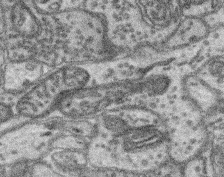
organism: Mouse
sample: Retina